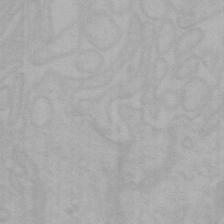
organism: Mouse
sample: Choroid plexus